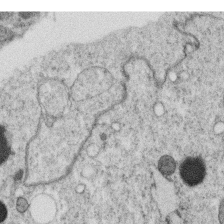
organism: C. elegans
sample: C. elegans oocyte; sperm cells